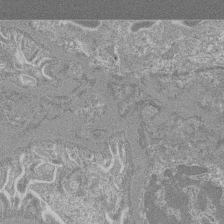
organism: Mouse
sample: Glomerulus